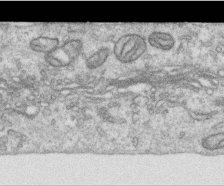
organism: Human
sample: Centriole in RPE cells